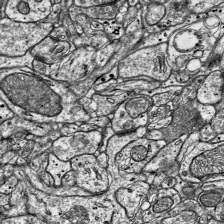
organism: Mouse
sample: Visual Cortex